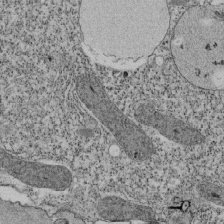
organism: Tetrahymena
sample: Cilia in tetrahymena